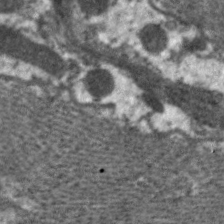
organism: C. elegans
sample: Pharynx